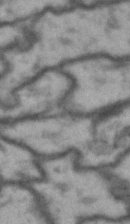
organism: Drosophila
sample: Brain